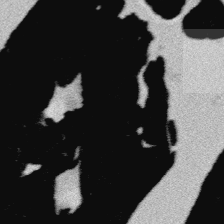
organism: Platynereis dumerilii